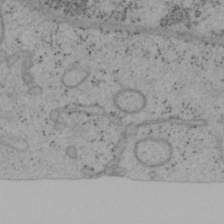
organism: Human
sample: HeLa cells